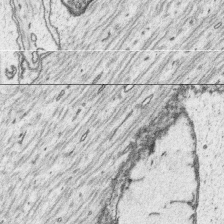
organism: Platynereis dumerilii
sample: Parapodia